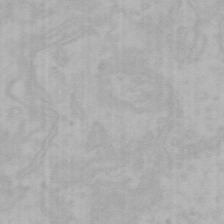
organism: Mouse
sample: Choroid plexus